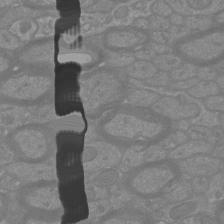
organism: Mouse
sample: Cortical neurons